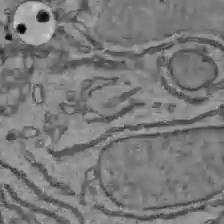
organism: C57BL Mouse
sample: Liver